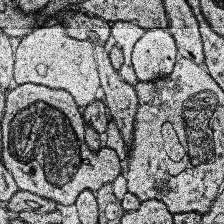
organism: Human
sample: Temporal Lobe